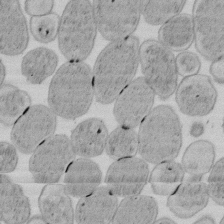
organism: E. coli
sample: Bacterial nucleoid